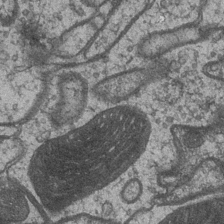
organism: Drosophila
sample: Optic medulla